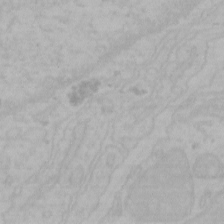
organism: Mouse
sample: Choroid plexus